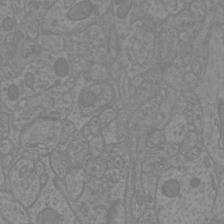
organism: Mouse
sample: Cortical neurons